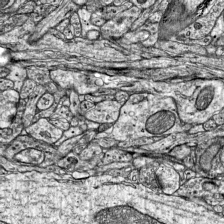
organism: Mouse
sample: Visual Cortex